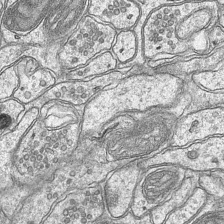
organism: Mouse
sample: CA1 Hippocampus